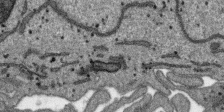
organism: Human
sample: Lung epithelial cells, uninfected (mock) control